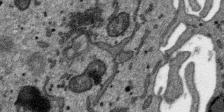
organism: Human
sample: Lung epithelial cells, uninfected (mock) control